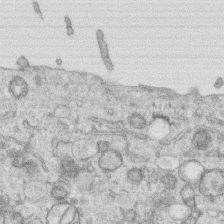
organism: Human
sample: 1205lu cells